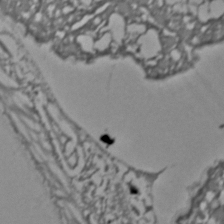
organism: C. elegans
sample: C. elegans embryo